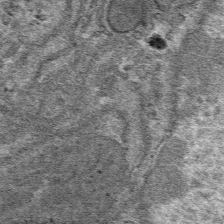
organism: Mouse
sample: Mouse hepatocytes